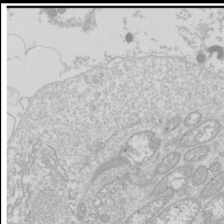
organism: Drosophila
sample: Cell division; meiosis; drosophila spermatocytes